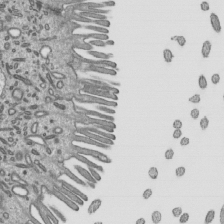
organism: Mouse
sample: Mouse epididymis efferent ductule cilia